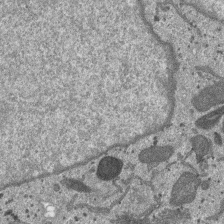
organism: Human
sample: Lung epithelial cells infected with SARS-CoV-2